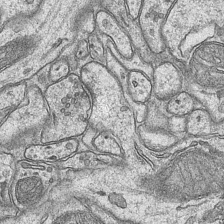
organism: Mouse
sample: CA1 Hippocampus